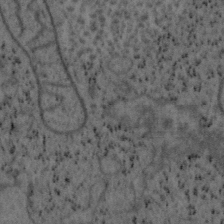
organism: Human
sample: HeLa cells